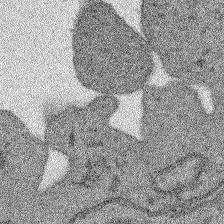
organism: Human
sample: HeLa cells